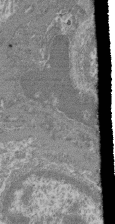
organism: Mouse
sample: Glomerulus